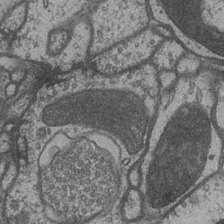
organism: Drosophila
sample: Optic medulla